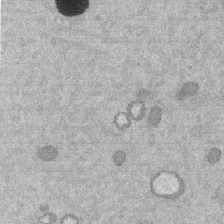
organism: Mouse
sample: Dividing mouse embryo 1 cell stage